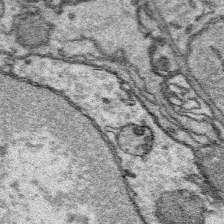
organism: Platynereis dumerilii